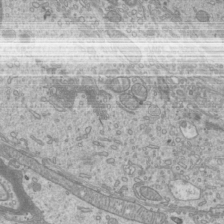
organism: Mouse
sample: Cilia; mouse epididymis